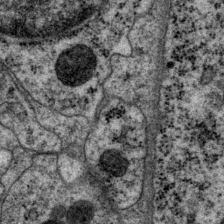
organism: P. pacificus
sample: Pharynx